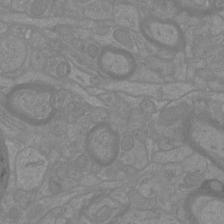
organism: Mouse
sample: Cortical neurons